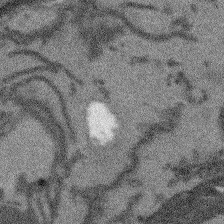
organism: Arabidopsis thaliana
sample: Root tip